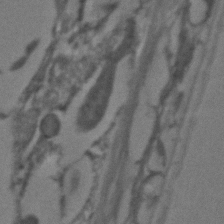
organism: C. elegans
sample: C. elegans embryo